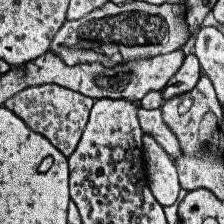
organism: Human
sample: Temporal Lobe